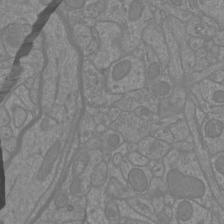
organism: Mouse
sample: Cortical neurons